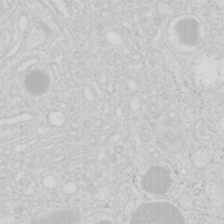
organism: Mouse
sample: Pancreas